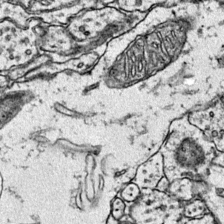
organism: Mouse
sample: Primary visual cortex